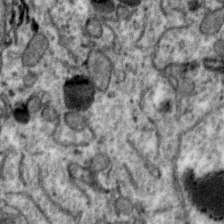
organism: Zebra finch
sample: Brain